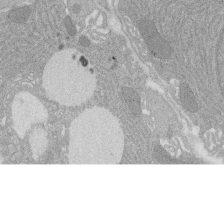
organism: Rat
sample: Salivary granule